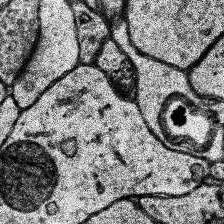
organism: Human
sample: Temporal Lobe